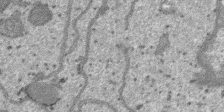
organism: Human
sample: Lung epithelial cells infected with SARS-CoV-2